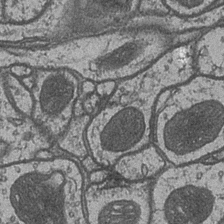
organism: Drosophila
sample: Optic medulla